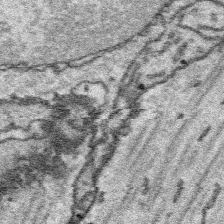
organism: Platynereis dumerilii